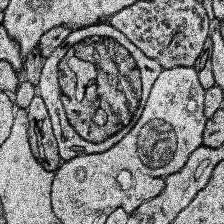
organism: Human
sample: Temporal Lobe